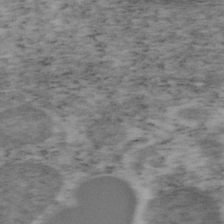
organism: Mouse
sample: OT-I killer T cells with ID8 ovarian cancer cells